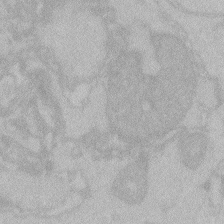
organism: Zebrafish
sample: Macrophage infected with Toxoplasma gondii